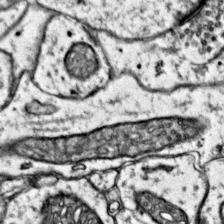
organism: Mouse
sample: Primary visual cortex